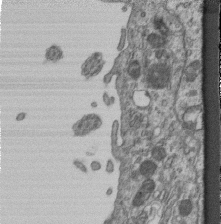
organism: Mouse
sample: Centriole in ependymal cells